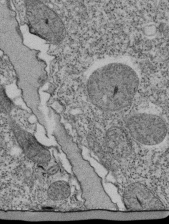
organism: Tetrahymena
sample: Cilia in tetrahymena